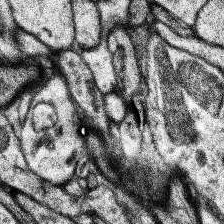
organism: Human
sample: Temporal Lobe